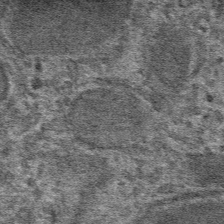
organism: Mouse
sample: Mouse hepatocytes